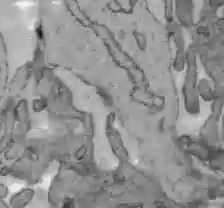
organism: C57BL Mouse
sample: Liver